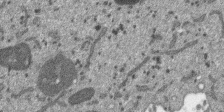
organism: Human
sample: Lung epithelial cells infected with SARS-CoV-2